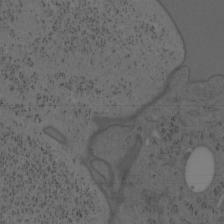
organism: Mouse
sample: OT-I killer T cells with ID8 ovarian cancer cells